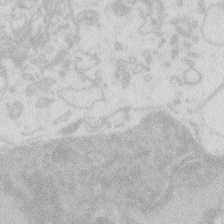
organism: Zebrafish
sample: Macrophage